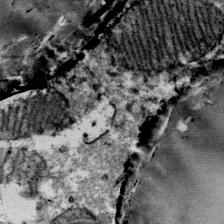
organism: Mouse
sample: Mouse Salivary gland